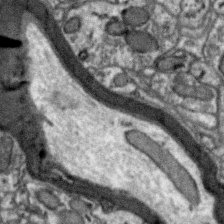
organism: Zebra finch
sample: Brain